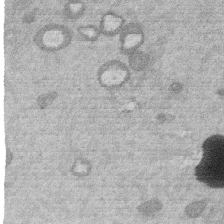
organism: Mouse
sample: Dividing mouse embryo 1 cell stage